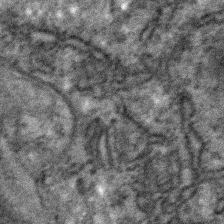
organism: C. elegans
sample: C. elegans embryo